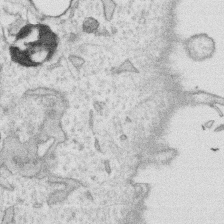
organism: Human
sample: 1205lu cells